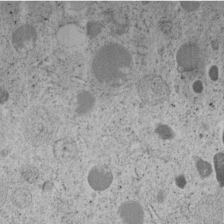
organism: C. elegans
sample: C. elegans embryo early stage